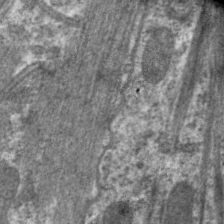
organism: C. elegans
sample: Pharynx